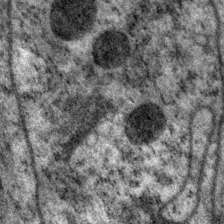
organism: P. pacificus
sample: Pharynx